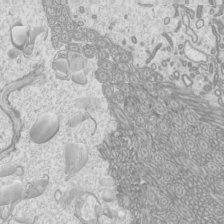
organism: Mouse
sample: Cilia; mouse epididymis